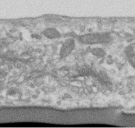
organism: Human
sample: Centriole in RPE cells